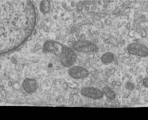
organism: Human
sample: Centriole in RPE cells